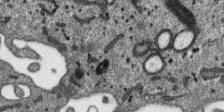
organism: Human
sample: Lung epithelial cells infected with SARS-CoV-2